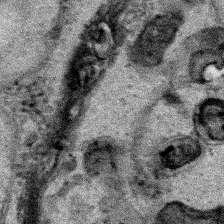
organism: Human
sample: Mitochondria in HCT116 cells